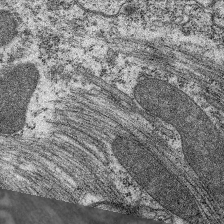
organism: C. elegans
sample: Pharynx